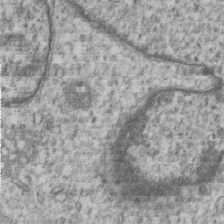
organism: Human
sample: MDA-MB-231 cells